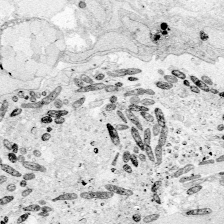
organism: Zebrafish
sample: Whole-Brain